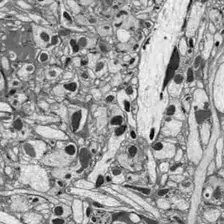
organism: Drosophila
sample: Optic lobe